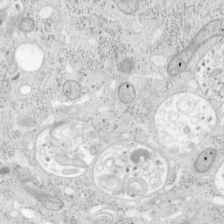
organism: Mouse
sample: OT-I killer T cells with ID8 ovarian cancer cells